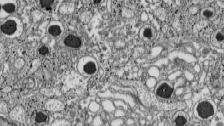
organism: C57BL Mouse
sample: Pancreatic islet